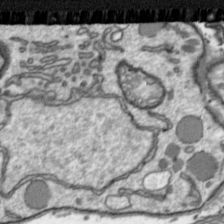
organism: Toxoplasma gondii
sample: Parasites in a vacuole inside a host cell